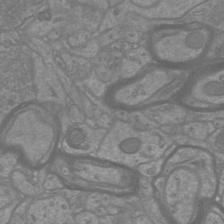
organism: Mouse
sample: Cortical neurons